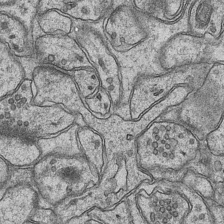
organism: Mouse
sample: CA1 Hippocampus